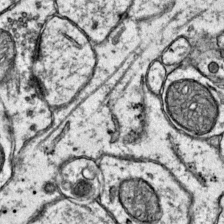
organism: Mouse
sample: Primary visual cortex